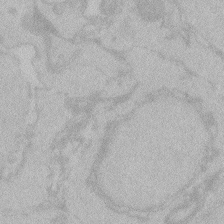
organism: Zebrafish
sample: Macrophage infected with Toxoplasma gondii